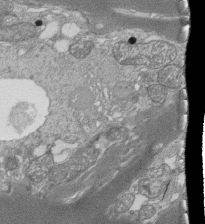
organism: Tetrahymena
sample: Cilia in tetrahymena